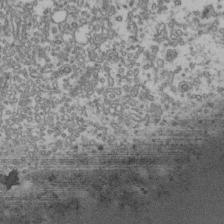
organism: Human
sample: Activated Jurkat CD4+ T cells